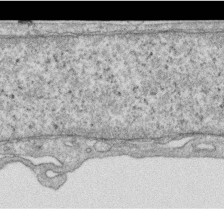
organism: Human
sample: Centriole in RPE cells